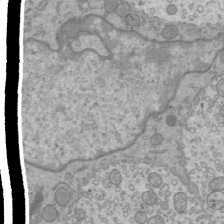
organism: Mouse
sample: Cilia; mouse epididymis